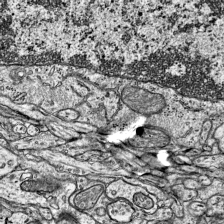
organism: Mouse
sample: Visual Cortex